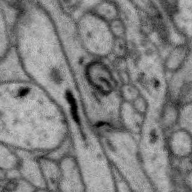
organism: Zebra finch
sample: Brain